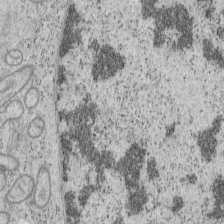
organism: Mouse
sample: OT-I killer T cells with ID8 ovarian cancer cells